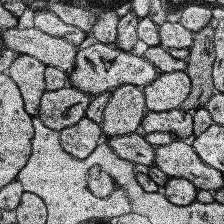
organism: Human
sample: Temporal Lobe